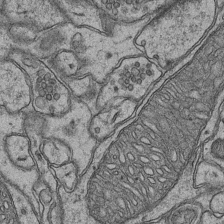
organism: Mouse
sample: CA1 Hippocampus